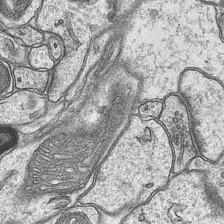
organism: Mouse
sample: CA1 Hippocampus